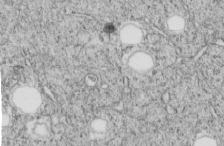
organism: C. elegans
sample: C. elegans embryo early stage